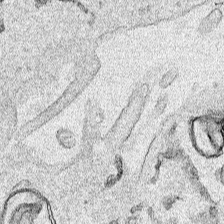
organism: Human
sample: Mitochondria in HCT116 cells